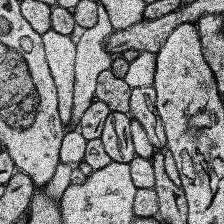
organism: Human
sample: Temporal Lobe